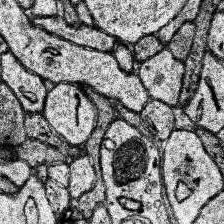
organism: Human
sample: Temporal Lobe